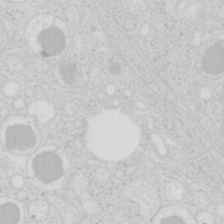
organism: Mouse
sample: Pancreas